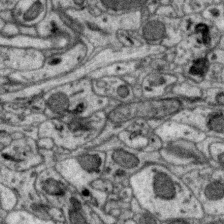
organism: Zebra finch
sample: Brain